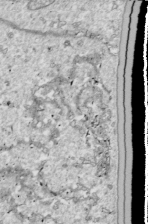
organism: Drosophila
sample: Cell division; meiosis; drosophila spermatocytes